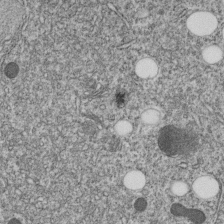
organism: C. elegans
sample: C. elegans embryo early stage